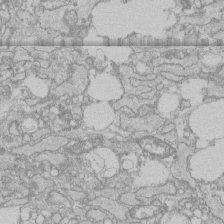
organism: Human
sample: CRL-1474